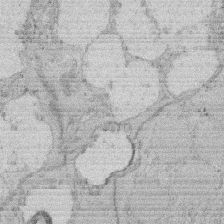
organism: Rat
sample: Salivary granule